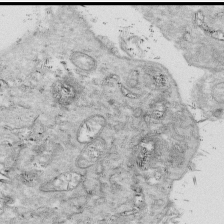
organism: Drosophila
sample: Cell division; meiosis; drosophila spermatocytes